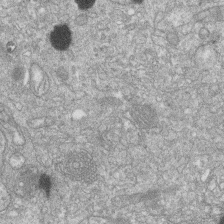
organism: Human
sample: HeLa cell HIV synapse